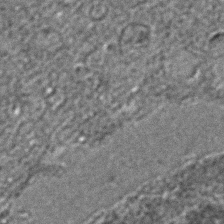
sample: Trachea